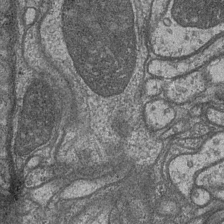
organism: Drosophila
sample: Optic medulla